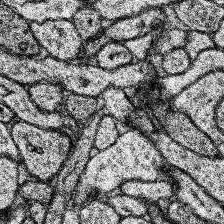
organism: Human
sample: Temporal Lobe